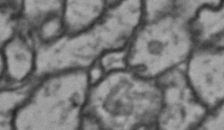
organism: Drosophila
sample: Brain